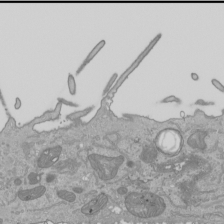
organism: Human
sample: Mitochondria in HCT116 cells